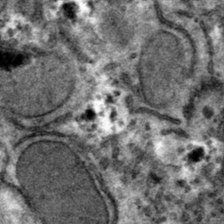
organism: Mouse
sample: Mouse hepatocytes